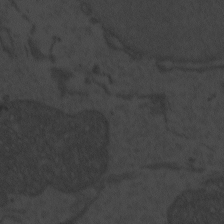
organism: Zebrafish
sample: Macrophage infected with Toxoplasma gondii